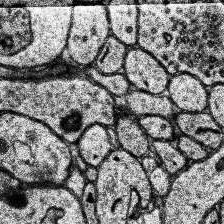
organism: Human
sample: Temporal Lobe